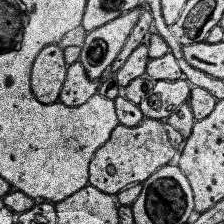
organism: Human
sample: Temporal Lobe